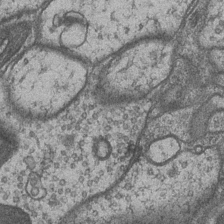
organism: Drosophila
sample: Optic medulla